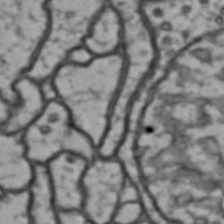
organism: Drosophila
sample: Brain